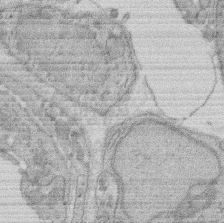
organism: Rat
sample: Salivary granule